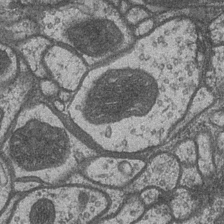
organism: Drosophila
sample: Optic medulla